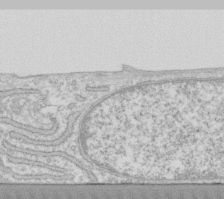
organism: Human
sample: Fibroblast cells